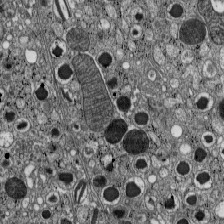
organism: C57BL Mouse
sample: Pancreatic islet